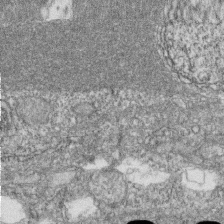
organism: Zebrafish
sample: Cilia; retinal pigment epithelium